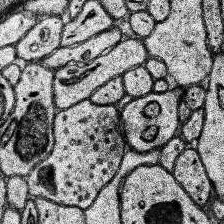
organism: Human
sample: Temporal Lobe